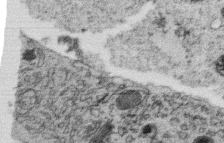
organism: C. elegans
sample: C. elegans oocyte; sperm cells